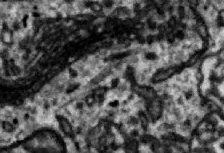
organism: Human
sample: HeLa cells